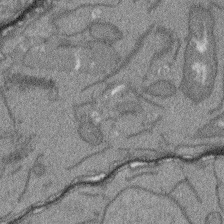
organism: Arabidopsis thaliana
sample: Root tip